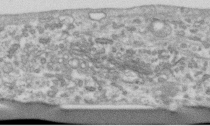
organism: Human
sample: Centriole in RPE cells